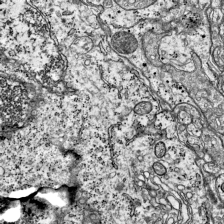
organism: Mouse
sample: Visual Cortex